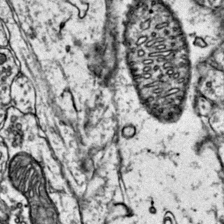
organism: Mouse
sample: Primary visual cortex